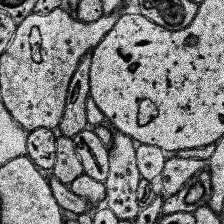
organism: Human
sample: Temporal Lobe